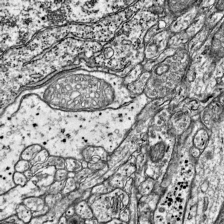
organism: Mouse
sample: Visual Cortex